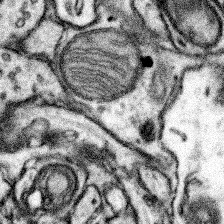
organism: Mouse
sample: Somatosensory cortex neuropil